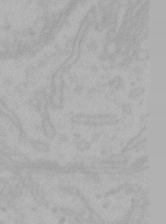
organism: Mouse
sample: Choroid plexus